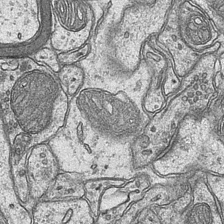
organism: Mouse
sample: CA1 Hippocampus